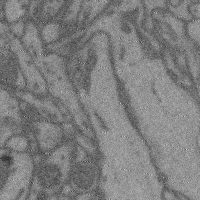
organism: Mouse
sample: Cerebral cortex